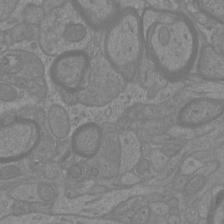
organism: Mouse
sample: Cortical neurons